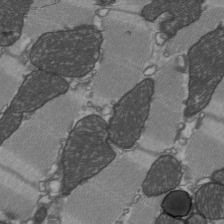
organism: C57BL Mouse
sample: Heart